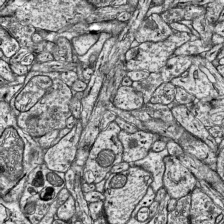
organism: Mouse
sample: Visual Cortex